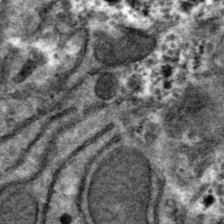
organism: Mouse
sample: Mouse hepatocytes